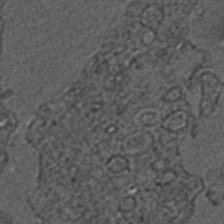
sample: Trachea